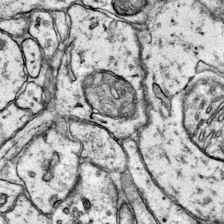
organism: Mouse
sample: Primary visual cortex